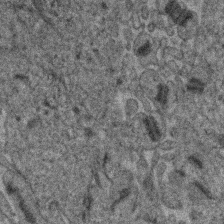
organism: Human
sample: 1205lu cells